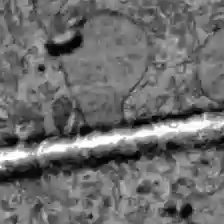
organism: C57BL Mouse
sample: Liver